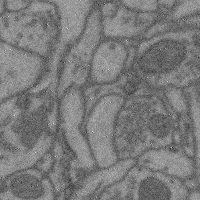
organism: Mouse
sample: Cerebral cortex